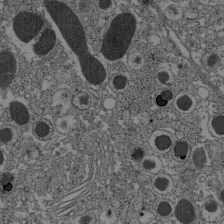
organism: C57BL Mouse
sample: Pancreatic islet